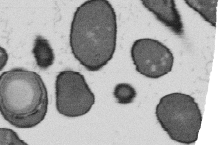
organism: B. subtilis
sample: Bacterial spore